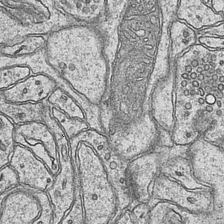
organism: Mouse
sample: CA1 Hippocampus